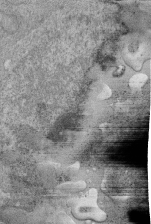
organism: Human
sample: Retinal organoid Rod and Cone cells